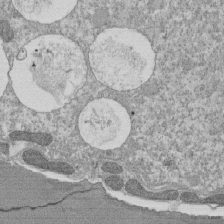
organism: Tetrahymena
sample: Cilia in tetrahymena